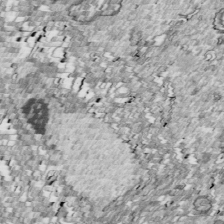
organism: Drosophila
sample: Cell division; meiosis; drosophila spermatocytes